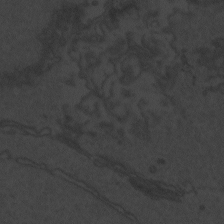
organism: Zebrafish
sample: Macrophage infected with Toxoplasma gondii